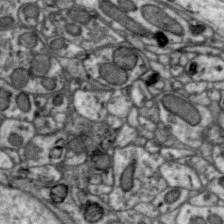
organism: Zebra finch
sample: Brain